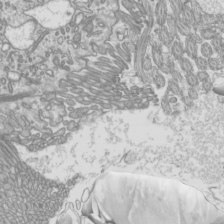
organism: Mouse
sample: Cilia; mouse epididymis